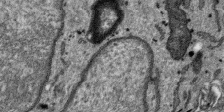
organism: Human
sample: Lung epithelial cells, uninfected (mock) control